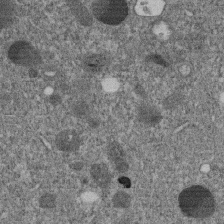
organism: C. elegans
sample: C. elegans embryo early stage